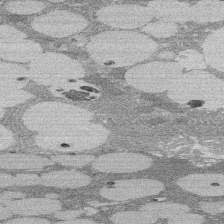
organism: Rat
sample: Salivary granule